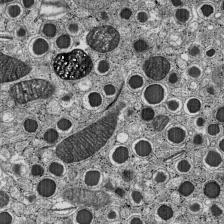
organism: C57BL Mouse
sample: Pancreatic islet